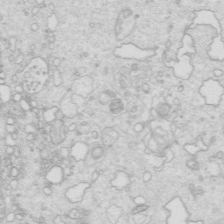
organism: Mouse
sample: Multiciliated cells